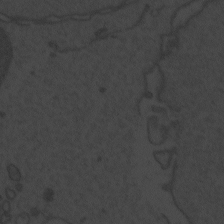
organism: Zebrafish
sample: Macrophage infected with Toxoplasma gondii